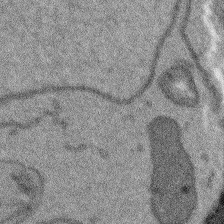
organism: Arabidopsis thaliana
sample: Root tip